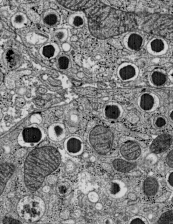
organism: C57BL Mouse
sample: Pancreatic islet